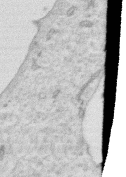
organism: Human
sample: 1205lu cells